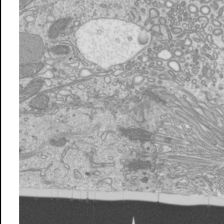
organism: Mouse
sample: Cilia; mouse epididymis